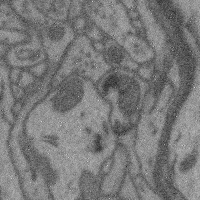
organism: Mouse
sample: Cerebral cortex